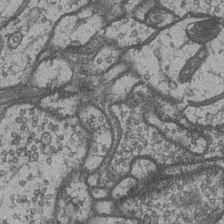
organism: Drosophila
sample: Optic medulla